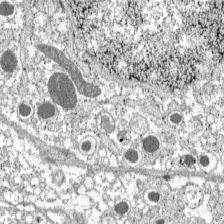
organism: C57BL Mouse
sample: Pancreatic islet